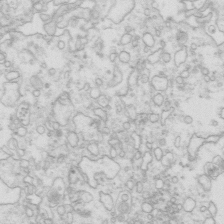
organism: Mouse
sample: Multiciliated cells